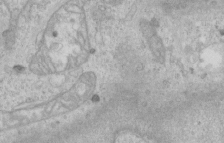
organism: Human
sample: Centriole in RPE cells